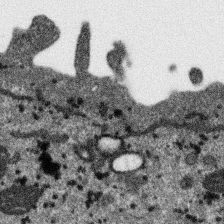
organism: Human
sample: Lung epithelial cells infected with SARS-CoV-2